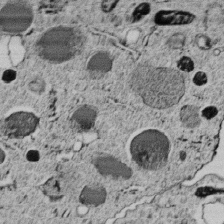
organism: C. elegans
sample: C. elegans embryo early stage